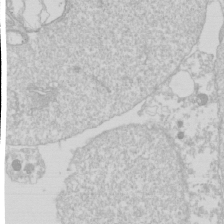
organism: Drosophila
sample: Cell division; meiosis; drosophila spermatocytes